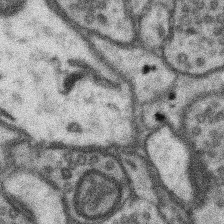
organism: Mouse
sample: Somatosensory cortex neuropil